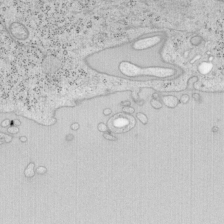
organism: Mouse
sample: OT-I killer T cells with ID8 ovarian cancer cells